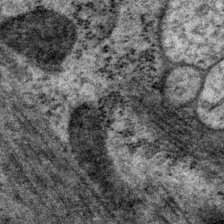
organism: P. pacificus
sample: Pharynx